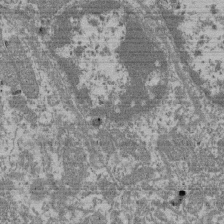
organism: Mouse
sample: Glomerulus